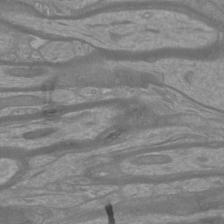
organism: Mouse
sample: Cortical neurons